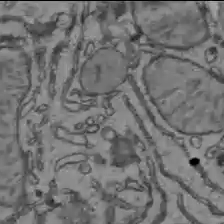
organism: C57BL Mouse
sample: Liver